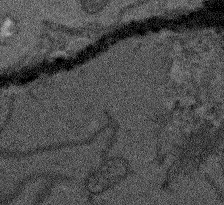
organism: Arabidopsis thaliana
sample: Root tip